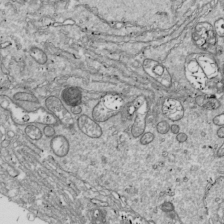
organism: Drosophila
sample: Cell division; meiosis; drosophila spermatocytes